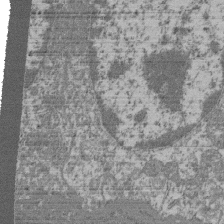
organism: Mouse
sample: Glomerulus